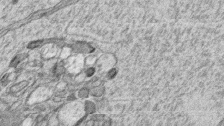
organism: Zebrafish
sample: synaptic ribbons in rod cells and cone cells